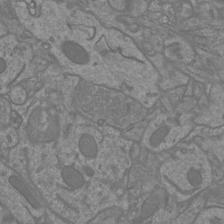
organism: Mouse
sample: Cortical neurons